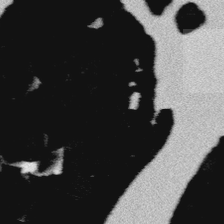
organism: Platynereis dumerilii